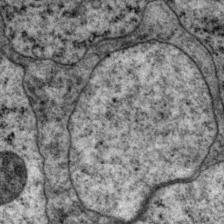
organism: P. pacificus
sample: Pharynx